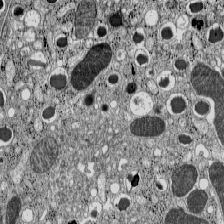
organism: C57BL Mouse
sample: Pancreatic islet